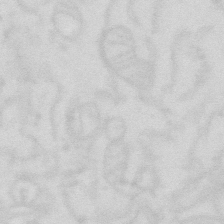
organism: Human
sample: HeLa cells